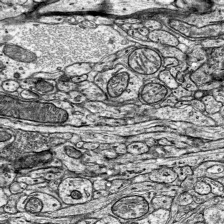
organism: Mouse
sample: Visual Cortex